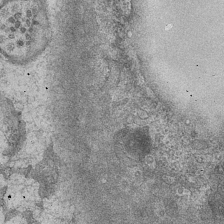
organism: Mouse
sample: CA1 Hippocampus